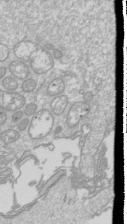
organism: Drosophila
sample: Cell division; meiosis; drosophila spermatocytes